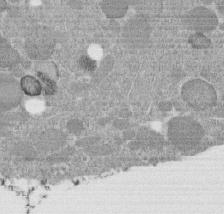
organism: C. elegans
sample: C. elegans embryo early stage